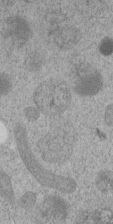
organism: C. elegans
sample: C. elegans embryo early stage